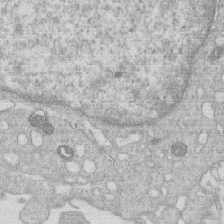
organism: Human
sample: Macrophage cells